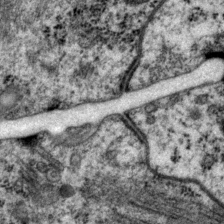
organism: P. pacificus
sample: Pharynx